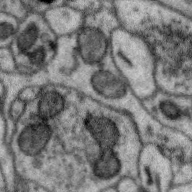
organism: Zebra finch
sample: Brain